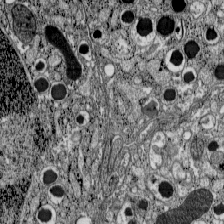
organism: C57BL Mouse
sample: Pancreatic islet